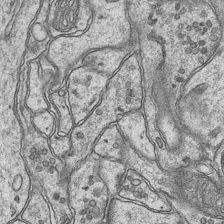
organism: Mouse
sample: CA1 Hippocampus